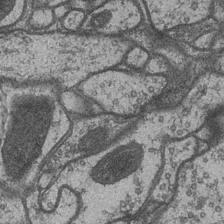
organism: Drosophila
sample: Optic medulla